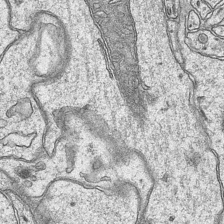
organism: Mouse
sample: CA1 Hippocampus